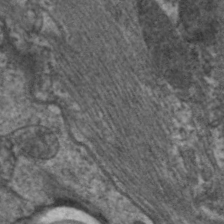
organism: C. elegans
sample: Pharynx